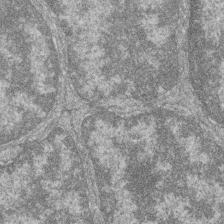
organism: Zebrafish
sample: Cilia; retinal pigment epithelium